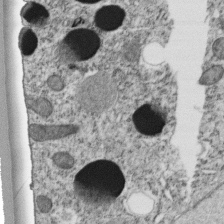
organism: C. elegans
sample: C. elegans embryo early stage